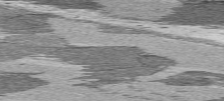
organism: C57BL Mouse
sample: Heart